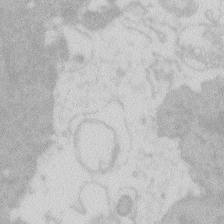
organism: Zebrafish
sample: Macrophage